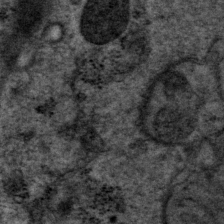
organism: P. pacificus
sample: Pharynx